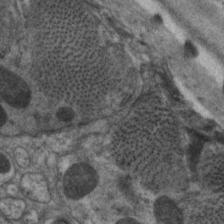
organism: C. elegans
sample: Pharynx